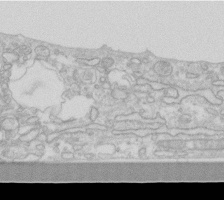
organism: Human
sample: Fibroblast cells